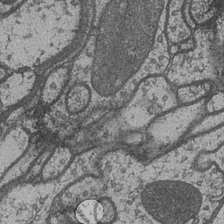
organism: Drosophila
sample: Optic medulla